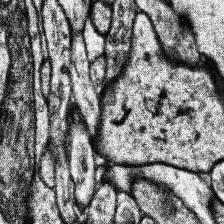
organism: Human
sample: Temporal Lobe